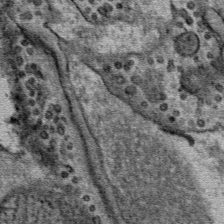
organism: Mouse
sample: Mouse Salivary gland